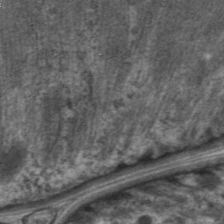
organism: C. elegans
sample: Pharynx